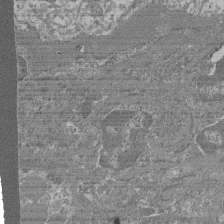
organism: Mouse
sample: Glomerulus